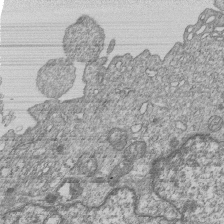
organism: Human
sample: MDA-MB-231 cells